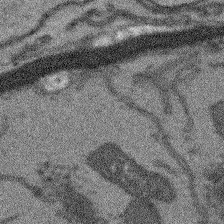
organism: Arabidopsis thaliana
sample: Root tip